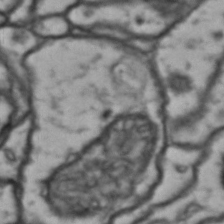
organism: Drosophila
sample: Brain